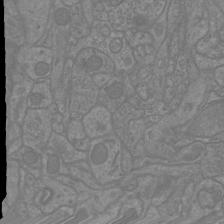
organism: Mouse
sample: Cortical neurons